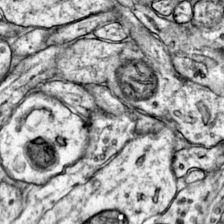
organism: Mouse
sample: Primary visual cortex